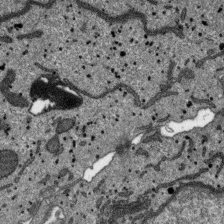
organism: Human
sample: Lung epithelial cells, uninfected (mock) control